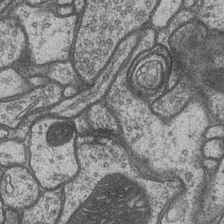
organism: Drosophila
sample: Optic medulla